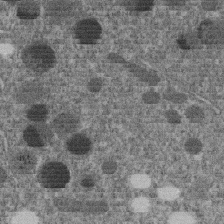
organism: C. elegans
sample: C. elegans embryo early stage